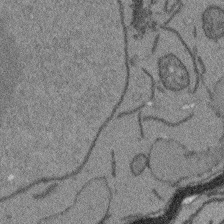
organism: Arabidopsis thaliana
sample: Root tip